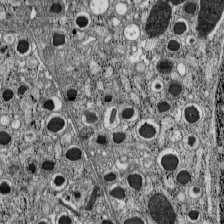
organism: C57BL Mouse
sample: Pancreatic islet